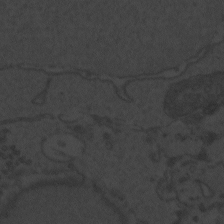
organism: Zebrafish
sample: Macrophage infected with Toxoplasma gondii